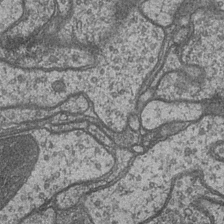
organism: Drosophila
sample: Optic medulla